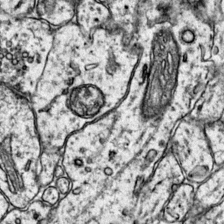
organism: Mouse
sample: Primary visual cortex